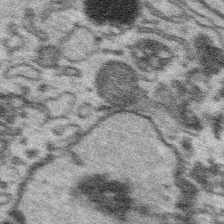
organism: Platynereis dumerilii